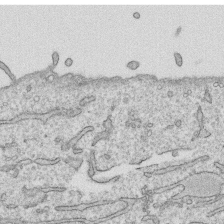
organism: Human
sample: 1205lu cells